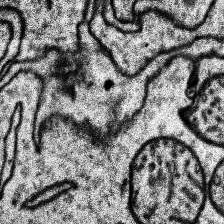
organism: Human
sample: Temporal Lobe